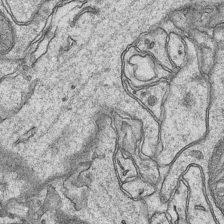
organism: Mouse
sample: CA1 Hippocampus